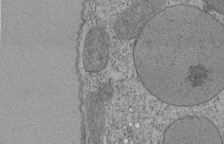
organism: Tetrahymena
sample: Cilia in tetrahymena